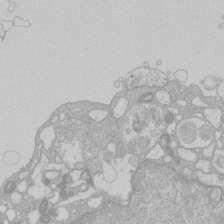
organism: Human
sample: Macrophage cells